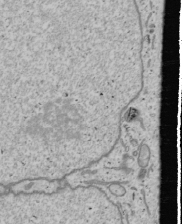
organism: Human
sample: Mitochondria in U2OS cells